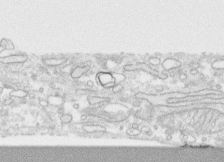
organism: Human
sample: CRL-1474